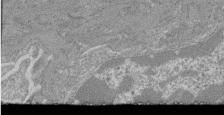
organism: Mouse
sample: Glomerulus